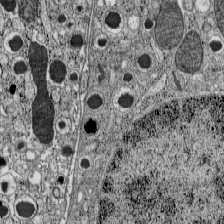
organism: C57BL Mouse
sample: Pancreatic islet